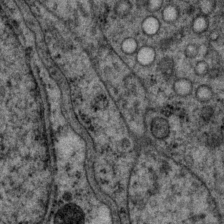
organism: P. pacificus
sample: Pharynx